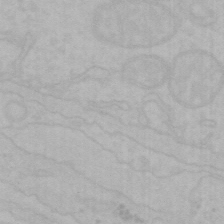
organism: Mouse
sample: Choroid plexus